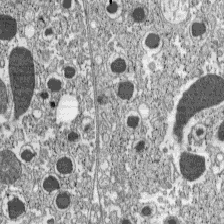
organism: C57BL Mouse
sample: Pancreatic islet